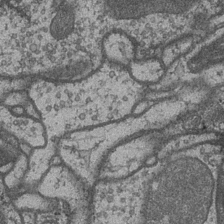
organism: Drosophila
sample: Optic medulla